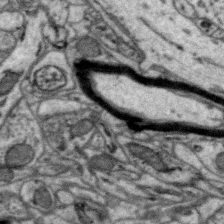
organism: Zebra finch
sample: Brain